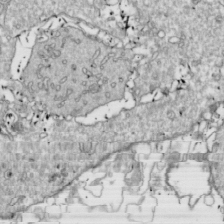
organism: Drosophila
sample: Cell division; meiosis; drosophila spermatocytes